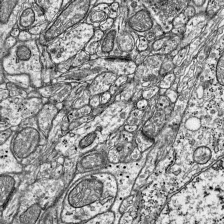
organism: Mouse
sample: Visual Cortex